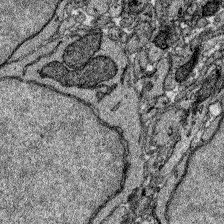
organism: Zebrafish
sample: Larval olfactory bulb